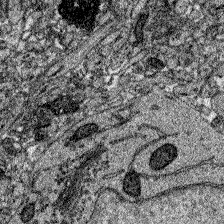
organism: Zebrafish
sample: Larval olfactory bulb